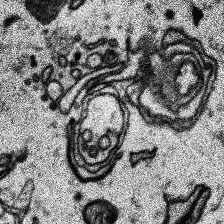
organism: Human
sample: Temporal Lobe